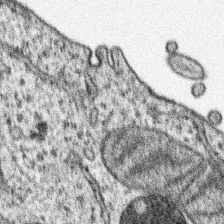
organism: Human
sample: HeLa cells